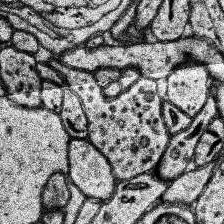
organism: Human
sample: Temporal Lobe